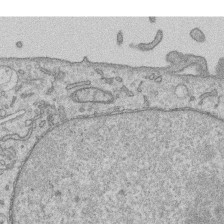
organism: Human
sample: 1205lu cells